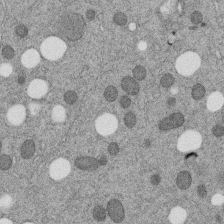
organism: C. elegans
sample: C. elegans embryo early stage